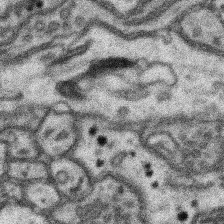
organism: Mouse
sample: Somatosensory cortex neuropil